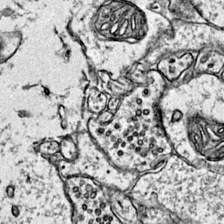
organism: Mouse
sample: Primary visual cortex